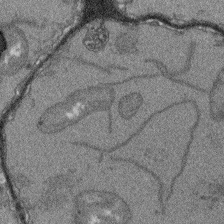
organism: Arabidopsis thaliana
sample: Root tip